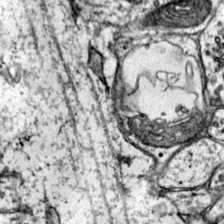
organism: Mouse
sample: Primary visual cortex